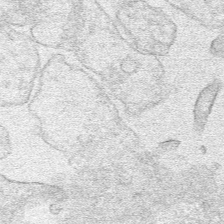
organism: Human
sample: Mitochondria in HCT116 cells